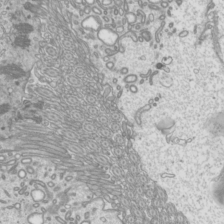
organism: Mouse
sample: Cilia; mouse epididymis